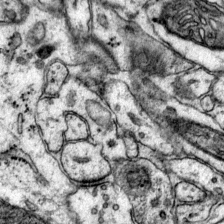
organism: Mouse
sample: Primary visual cortex